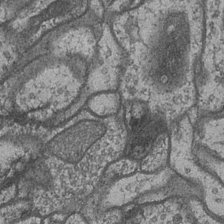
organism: Drosophila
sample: Optic medulla